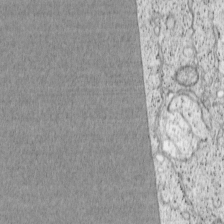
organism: African green monkey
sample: COS-7 cells